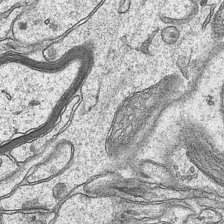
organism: Mouse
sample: CA1 Hippocampus